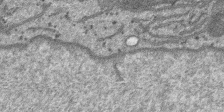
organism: Human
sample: Lung epithelial cells infected with SARS-CoV-2